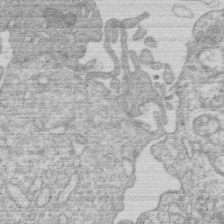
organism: Human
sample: Macrophage cells